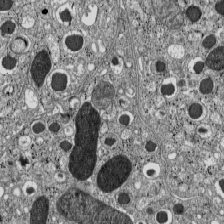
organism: C57BL Mouse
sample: Pancreatic islet